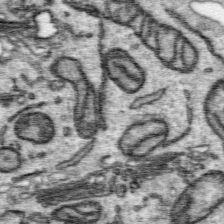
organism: Human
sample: HeLa cells